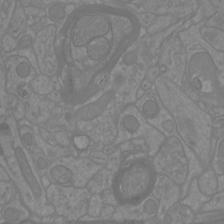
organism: Mouse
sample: Cortical neurons